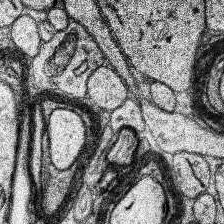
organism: Human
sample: Temporal Lobe